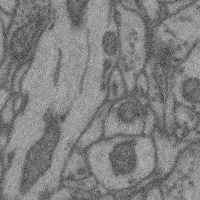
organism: Mouse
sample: Cerebral cortex